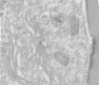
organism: Human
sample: Centriole in RPE cells